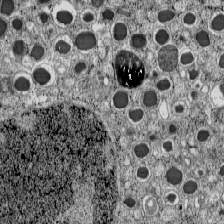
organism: C57BL Mouse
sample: Pancreatic islet